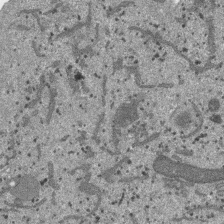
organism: Human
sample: Lung epithelial cells infected with SARS-CoV-2